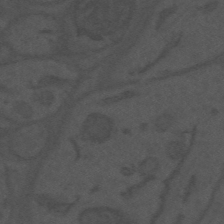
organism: Mouse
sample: Suprachiasmatic nucleus